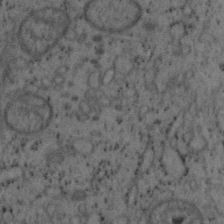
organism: Human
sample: HeLa cells